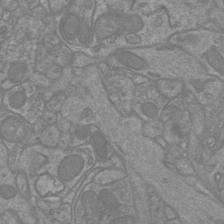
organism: Mouse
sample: Cortical neurons